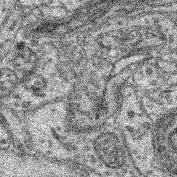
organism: Mouse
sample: Retina